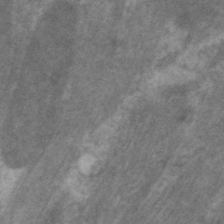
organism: C. elegans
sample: Pharynx